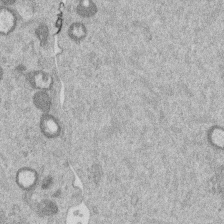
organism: Mouse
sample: Dividing mouse embryo 1 cell stage